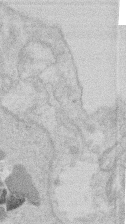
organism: Mouse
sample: T cell stromal cell synapse